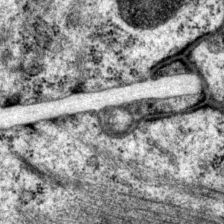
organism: P. pacificus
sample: Pharynx